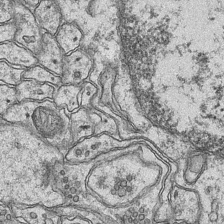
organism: Mouse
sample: CA1 Hippocampus